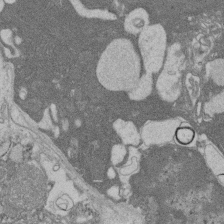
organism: Rat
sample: Salivary granule